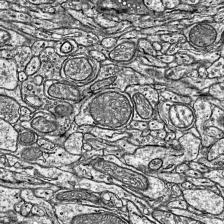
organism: Mouse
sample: Visual Cortex